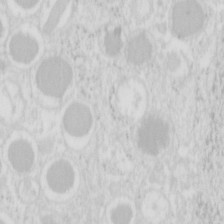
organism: Mouse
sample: Pancreas